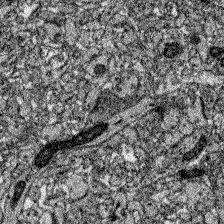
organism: Zebrafish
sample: Larval olfactory bulb